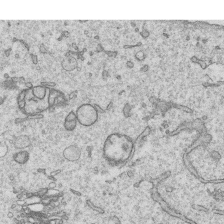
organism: Human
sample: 1205lu cells